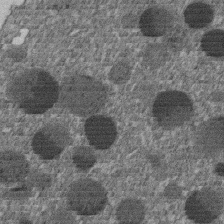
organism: C. elegans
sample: C. elegans embryo early stage